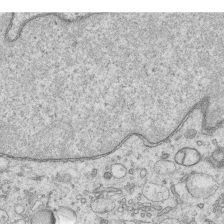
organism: Human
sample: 1205lu cells